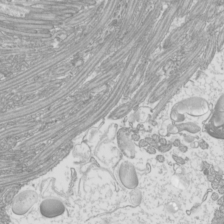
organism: Mouse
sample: Cilia; mouse epididymis